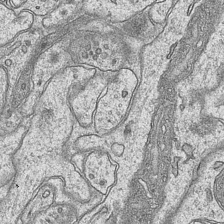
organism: Mouse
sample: CA1 Hippocampus